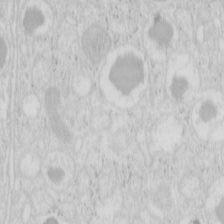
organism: Mouse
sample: Pancreas